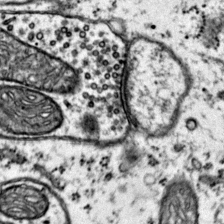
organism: Mouse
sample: Primary visual cortex